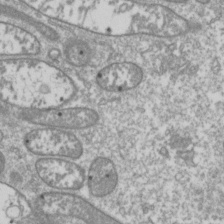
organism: Drosophila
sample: Cell division; meiosis; drosophila spermatocytes